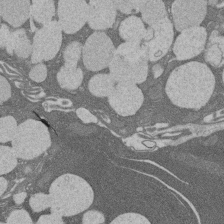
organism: Rat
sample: Salivary granule